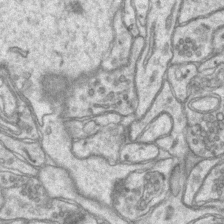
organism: Mouse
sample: CA1 Hippocampus